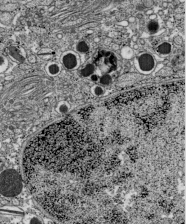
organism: C57BL Mouse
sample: Pancreatic islet